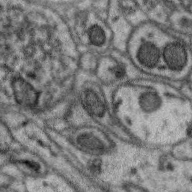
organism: Zebra finch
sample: Brain